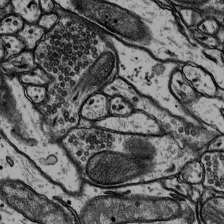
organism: Rat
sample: Hippocampus